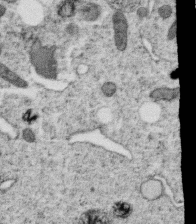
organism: C. elegans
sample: C. elegans oocyte; sperm cells